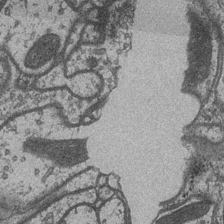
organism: Drosophila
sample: Optic medulla